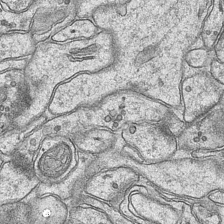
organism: Mouse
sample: CA1 Hippocampus